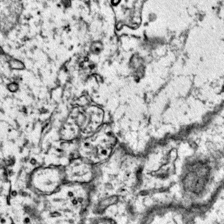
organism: Mouse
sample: Primary visual cortex